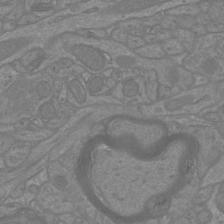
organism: Mouse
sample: Cortical neurons